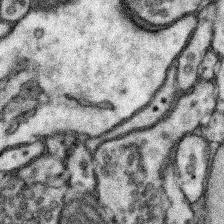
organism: Mouse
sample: Somatosensory cortex neuropil